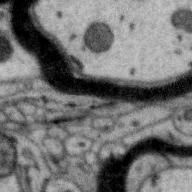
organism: Zebra finch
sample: Brain